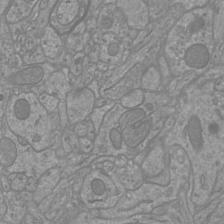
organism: Mouse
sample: Cortical neurons